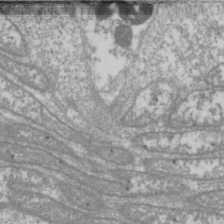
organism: Drosophila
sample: Cell division; meiosis; drosophila spermatocytes